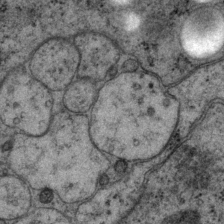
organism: P. pacificus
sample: Pharynx